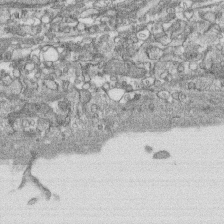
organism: Human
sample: CRL-1474